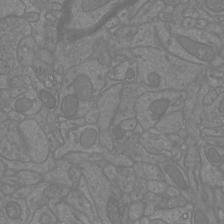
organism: Mouse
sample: Cortical neurons